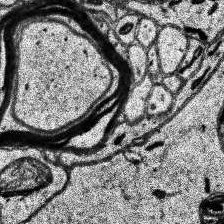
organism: Human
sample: Temporal Lobe